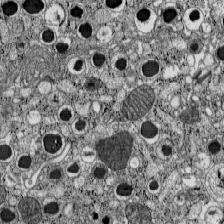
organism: C57BL Mouse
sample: Pancreatic islet